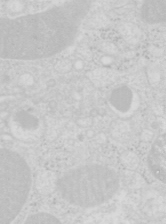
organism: Mouse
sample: Pancreas